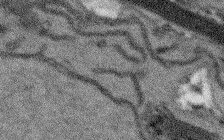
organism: Arabidopsis thaliana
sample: Root tip